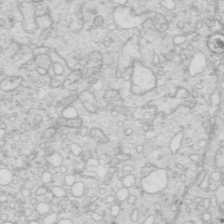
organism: Mouse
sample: Multiciliated cells